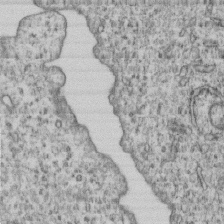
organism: Human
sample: MDA-MB-231 cells